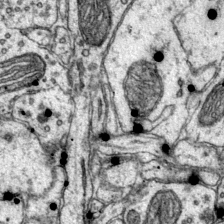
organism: Mouse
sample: Primary visual cortex